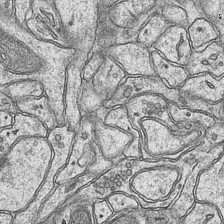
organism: Mouse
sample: CA1 Hippocampus